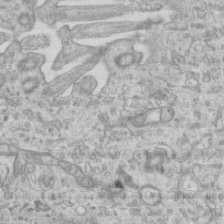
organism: Mouse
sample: Centriole in ependymal cells